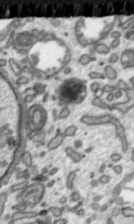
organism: Toxoplasma gondii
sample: Parasites in a vacuole inside a host cell